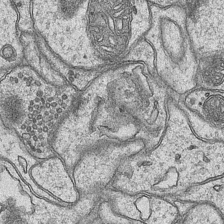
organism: Mouse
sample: CA1 Hippocampus